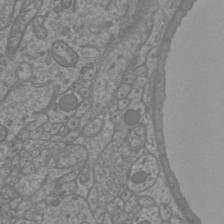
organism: Mouse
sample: Cortical neurons